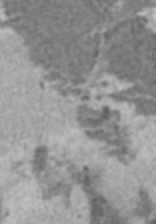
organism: C57BL Mouse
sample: Heart